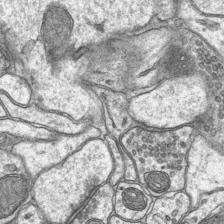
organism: Mouse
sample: CA1 Hippocampus